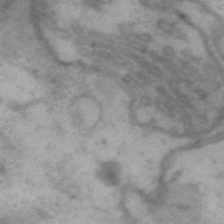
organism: Drosophila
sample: Brain